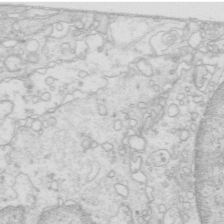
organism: Mouse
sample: Multiciliated cells